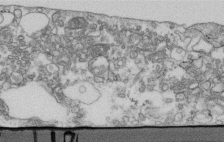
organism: Human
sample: Centriole in fibroblast cells